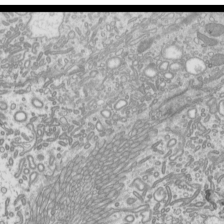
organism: Mouse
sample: Cilia; mouse epididymis